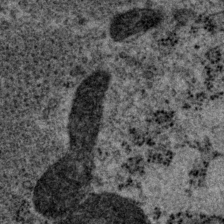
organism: P. pacificus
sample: Pharynx